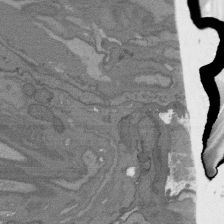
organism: C. elegans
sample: AFD neurons C. elegans